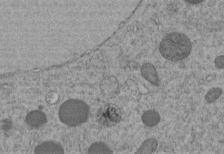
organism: C. elegans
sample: C. elegans embryo early stage